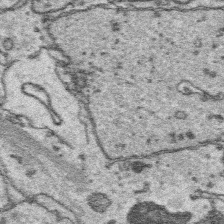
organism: Platynereis dumerilii